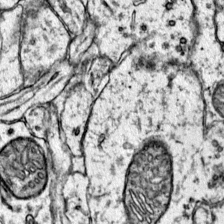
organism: Mouse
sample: Primary visual cortex